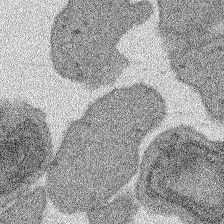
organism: Human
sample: HeLa cells